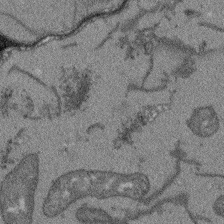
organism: Arabidopsis thaliana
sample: Root tip